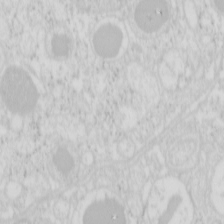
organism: Mouse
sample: Pancreas